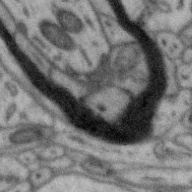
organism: Zebra finch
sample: Brain